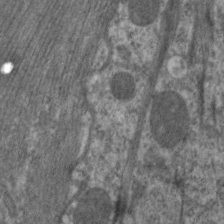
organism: C. elegans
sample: Pharynx